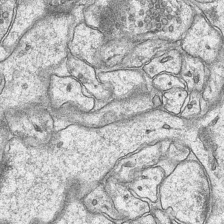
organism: Mouse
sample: CA1 Hippocampus